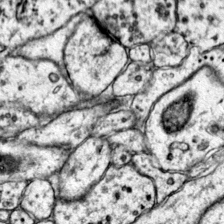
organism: Mouse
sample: Primary visual cortex